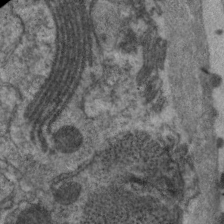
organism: C. elegans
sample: Pharynx